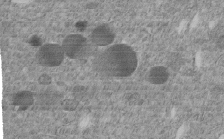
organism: C. elegans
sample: C. elegans embryo early stage